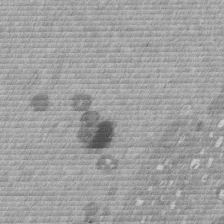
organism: Mouse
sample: Dividing mouse embryo 1 cell stage